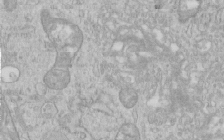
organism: Human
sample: Centriole in RPE cells